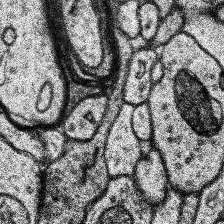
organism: Human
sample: Temporal Lobe